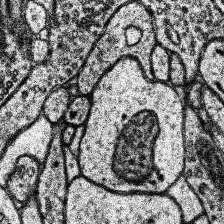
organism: Human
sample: Temporal Lobe